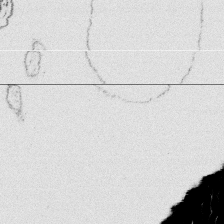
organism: Platynereis dumerilii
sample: Parapodia